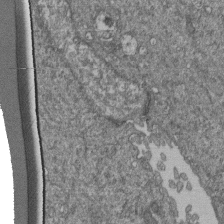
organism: Human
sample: Retinal organoid Rod and Cone cells